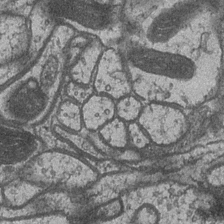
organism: Drosophila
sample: Optic medulla